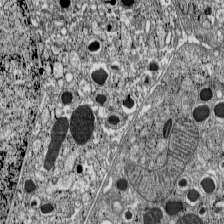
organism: C57BL Mouse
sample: Pancreatic islet